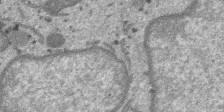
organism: Human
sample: Lung epithelial cells infected with SARS-CoV-2